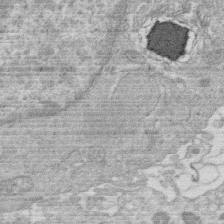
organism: Human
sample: Macrophage cells